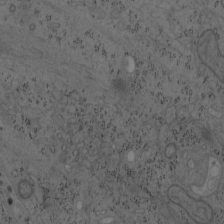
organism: Mouse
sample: OT-I killer T cells with ID8 ovarian cancer cells